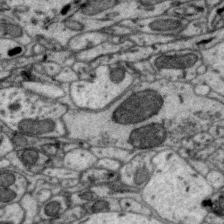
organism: Zebra finch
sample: Brain